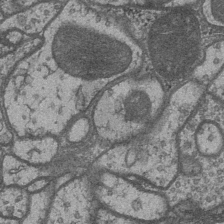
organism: Drosophila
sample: Optic medulla